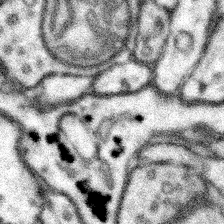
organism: Mouse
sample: Somatosensory cortex neuropil